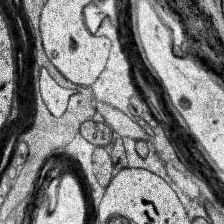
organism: Human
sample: Temporal Lobe